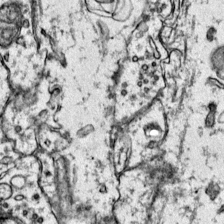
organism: Mouse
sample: Primary visual cortex